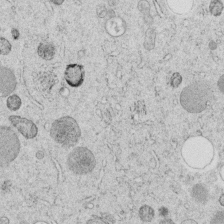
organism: C. elegans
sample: C. elegans embryo early stage